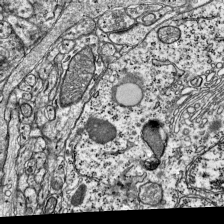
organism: Mouse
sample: Visual Cortex